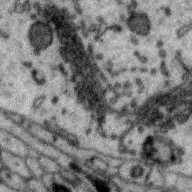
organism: Zebra finch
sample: Brain